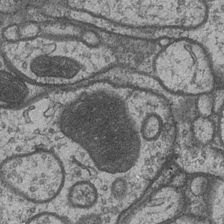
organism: Drosophila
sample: Optic medulla